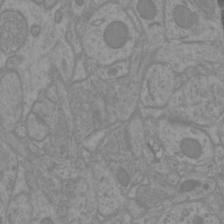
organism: Mouse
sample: Cortical neurons